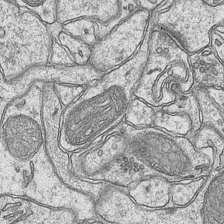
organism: Mouse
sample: CA1 Hippocampus